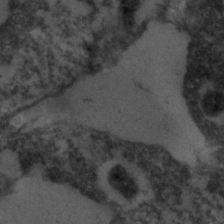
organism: C. elegans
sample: C. elegans embryo